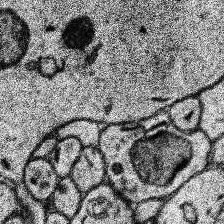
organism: Human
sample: Temporal Lobe